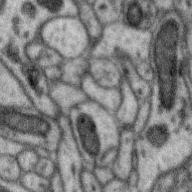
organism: Zebra finch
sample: Brain